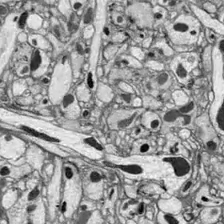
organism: Drosophila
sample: Optic lobe